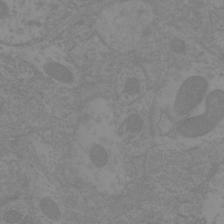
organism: Mouse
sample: Cortical neurons